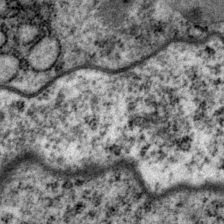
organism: P. pacificus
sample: Pharynx